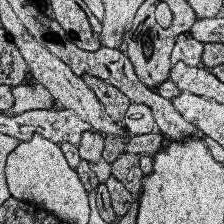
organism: Human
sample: Temporal Lobe